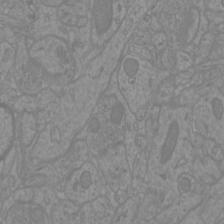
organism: Mouse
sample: Cortical neurons